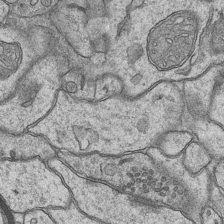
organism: Mouse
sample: CA1 Hippocampus